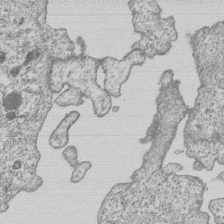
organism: Human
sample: MDA-MB-231 cells